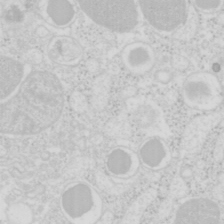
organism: Mouse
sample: Pancreas